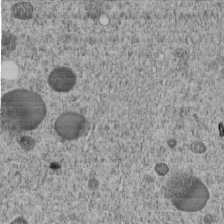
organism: C. elegans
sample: C. elegans embryo early stage